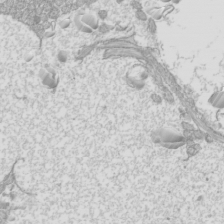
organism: Mouse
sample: Cilia; mouse epididymis